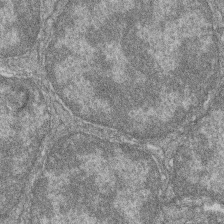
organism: Zebrafish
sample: Cilia; retinal pigment epithelium